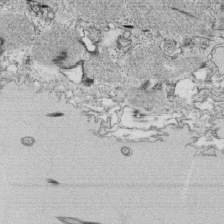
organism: Tetrahymena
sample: Cilia in tetrahymena